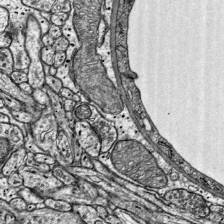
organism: Mouse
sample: Visual Cortex